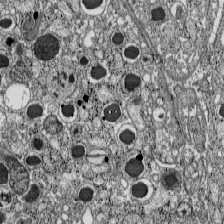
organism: C57BL Mouse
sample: Pancreatic islet